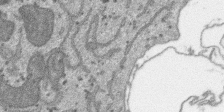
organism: Human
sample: Lung epithelial cells infected with SARS-CoV-2